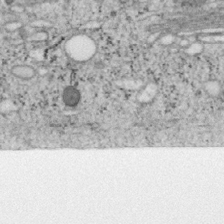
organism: Mouse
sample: OT-I killer T cells with ID8 ovarian cancer cells